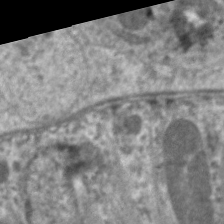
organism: C. elegans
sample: Pharynx